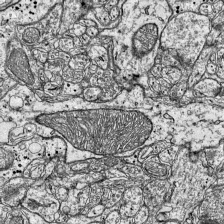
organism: Mouse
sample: Visual Cortex